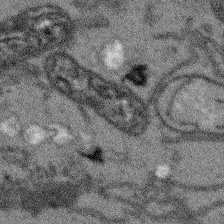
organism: Arabidopsis thaliana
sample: Root tip